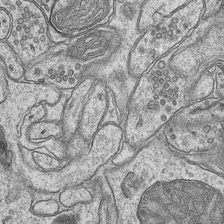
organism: Mouse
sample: CA1 Hippocampus